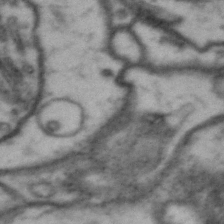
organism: Drosophila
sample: Brain